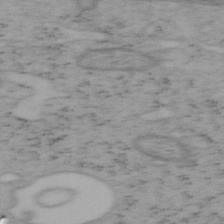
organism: Mouse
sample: OT-I killer T cells with ID8 ovarian cancer cells